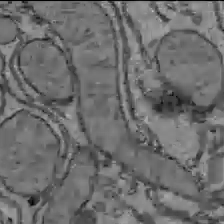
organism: C57BL Mouse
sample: Liver